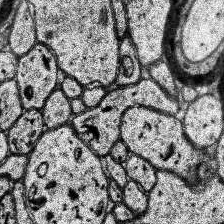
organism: Human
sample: Temporal Lobe